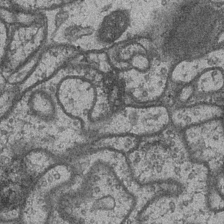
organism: Drosophila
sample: Optic medulla